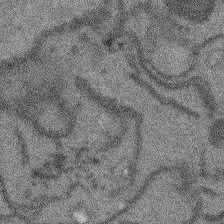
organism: Arabidopsis thaliana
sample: Root tip